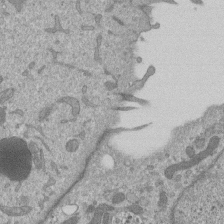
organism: Mouse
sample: ED-1 cell nuclei; centrioles